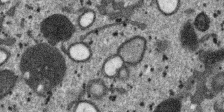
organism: Human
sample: Lung epithelial cells infected with SARS-CoV-2